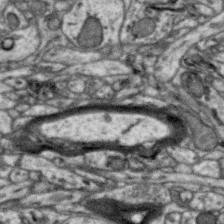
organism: Zebra finch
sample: Brain